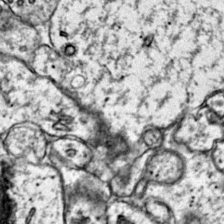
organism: Mouse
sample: Primary visual cortex